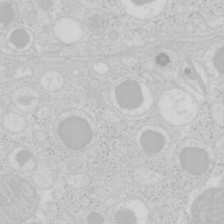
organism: Mouse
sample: Pancreas